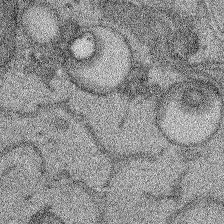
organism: Human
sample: HeLa cells